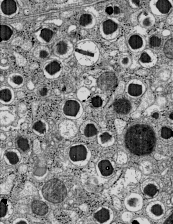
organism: C57BL Mouse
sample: Pancreatic islet